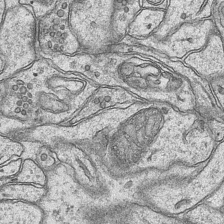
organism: Mouse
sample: CA1 Hippocampus